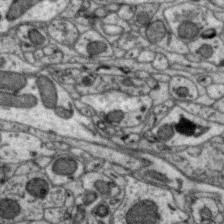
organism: Zebra finch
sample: Brain